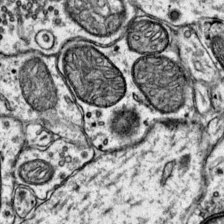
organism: Mouse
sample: Primary visual cortex